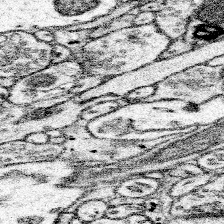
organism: Mouse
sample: Somatosensory cortex neuropil